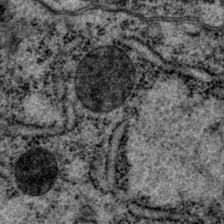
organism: P. pacificus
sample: Pharynx